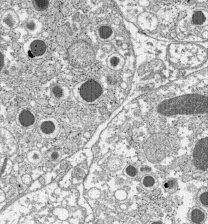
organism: C57BL Mouse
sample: Pancreatic islet